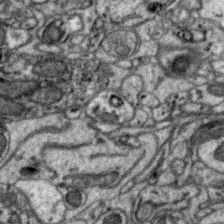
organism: Zebra finch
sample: Brain